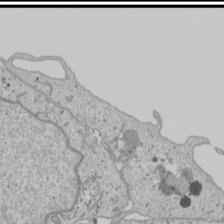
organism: Human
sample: Mitochondria in U2OS cells